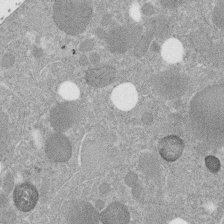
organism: C. elegans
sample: C. elegans embryo early stage